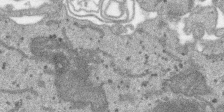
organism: Human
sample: Lung epithelial cells infected with SARS-CoV-2